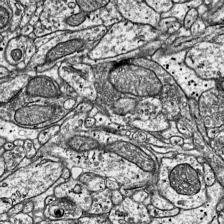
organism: Mouse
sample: Visual Cortex